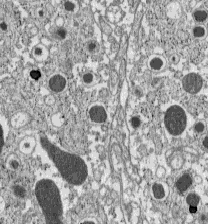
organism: C57BL Mouse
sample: Pancreatic islet